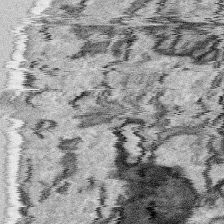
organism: Human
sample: HeLa cells